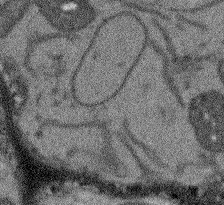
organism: Arabidopsis thaliana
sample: Root tip